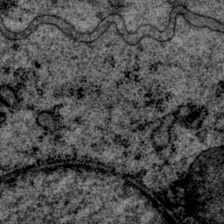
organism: P. pacificus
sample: Pharynx